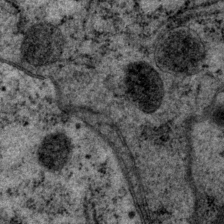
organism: P. pacificus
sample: Pharynx